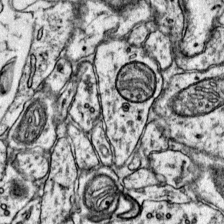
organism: Mouse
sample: Primary visual cortex